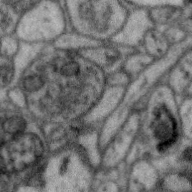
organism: Zebra finch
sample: Brain